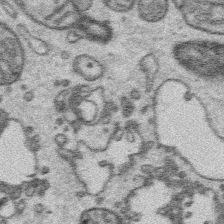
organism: Platynereis dumerilii